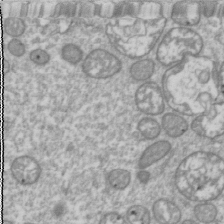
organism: Drosophila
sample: Cell division; meiosis; drosophila spermatocytes